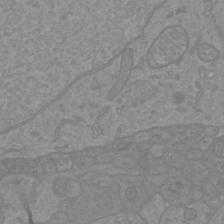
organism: Mouse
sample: Cortical neurons